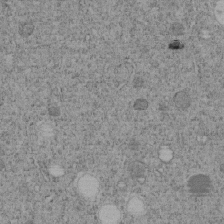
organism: C. elegans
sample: C. elegans embryo early stage